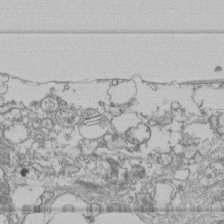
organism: Human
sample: Fibroblast cells